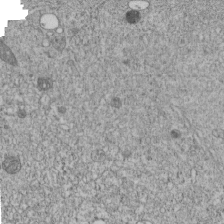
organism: C. elegans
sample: C. elegans embryo early stage